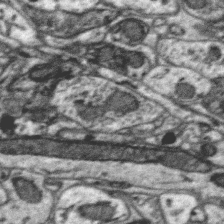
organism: Zebra finch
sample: Brain